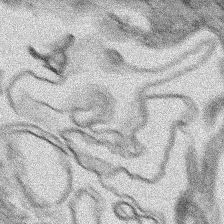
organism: Human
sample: Mitochondria in HCT116 cells